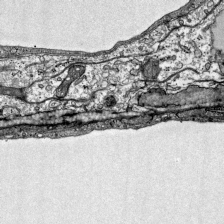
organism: Mouse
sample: Visual Cortex